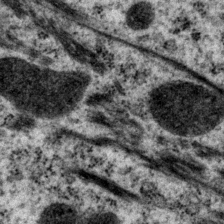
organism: P. pacificus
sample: Pharynx